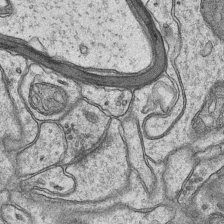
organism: Mouse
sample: CA1 Hippocampus